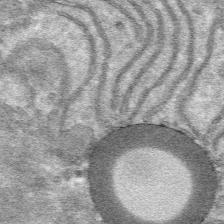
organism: Mouse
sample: Mouse hepatocytes